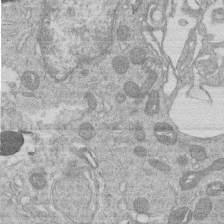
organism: Human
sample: Macrophage cells